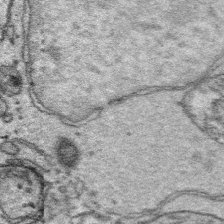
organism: Platynereis dumerilii